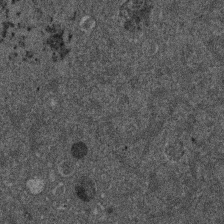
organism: Mouse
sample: Dividing mouse embryo 1 cell stage